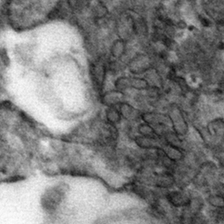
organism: Mouse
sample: Mouse hepatocytes